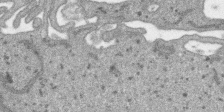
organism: Human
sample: Lung epithelial cells infected with SARS-CoV-2